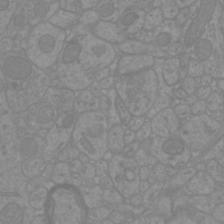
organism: Mouse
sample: Cortical neurons